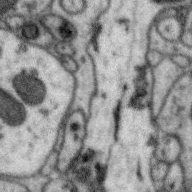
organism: Zebra finch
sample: Brain